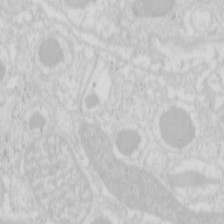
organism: Mouse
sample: Pancreas